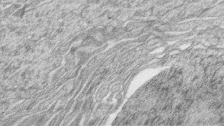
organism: Zebrafish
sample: synaptic ribbons in rod cells and cone cells